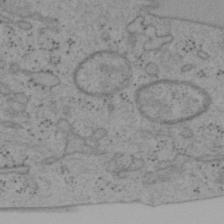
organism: Human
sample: HeLa cells